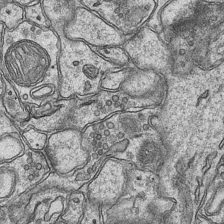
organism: Mouse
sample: CA1 Hippocampus